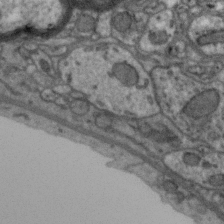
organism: Zebra finch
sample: Brain